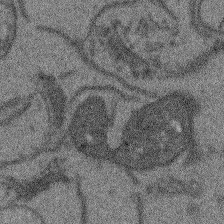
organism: Arabidopsis thaliana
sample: Root tip